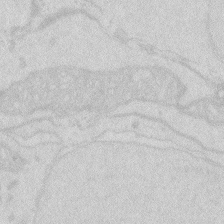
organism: Zebrafish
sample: Macrophage